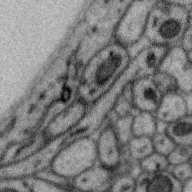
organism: Zebra finch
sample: Brain